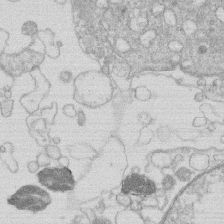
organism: Human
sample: Macrophage cells